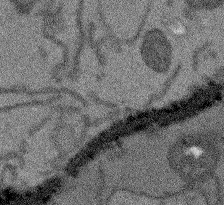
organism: Arabidopsis thaliana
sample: Root tip